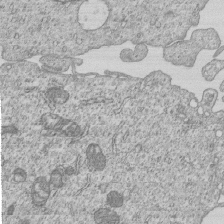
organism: Human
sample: MDA-MB-231 cells